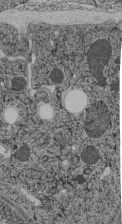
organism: C. elegans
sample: C. elegans pharynx